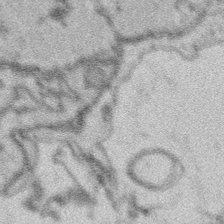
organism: Platynereis dumerilii